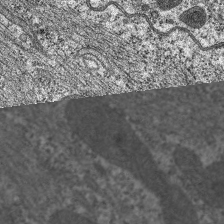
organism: C. elegans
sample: Pharynx